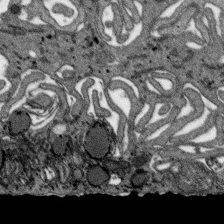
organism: Human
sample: Lung epithelial cells, uninfected (mock) control